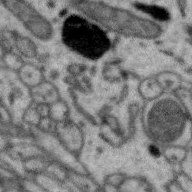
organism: Zebra finch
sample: Brain